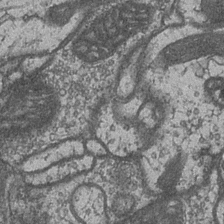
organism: Drosophila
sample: Optic medulla